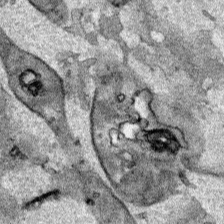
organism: Human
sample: Mitochondria in HCT116 cells